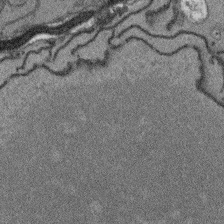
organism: Arabidopsis thaliana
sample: Root tip